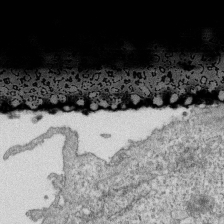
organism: Human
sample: HeLa cell HIV synapse